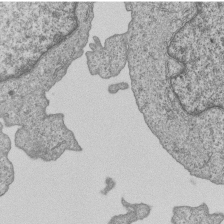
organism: Human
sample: MDA-MB-231 cells